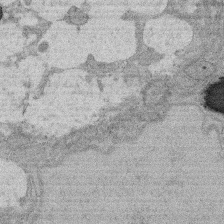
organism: Rat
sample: Salivary granule